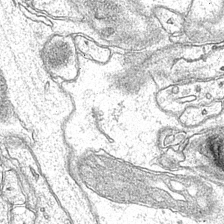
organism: Mouse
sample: CA1 Hippocampus